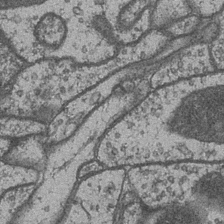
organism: Drosophila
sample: Optic medulla